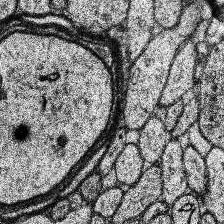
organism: Human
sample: Temporal Lobe